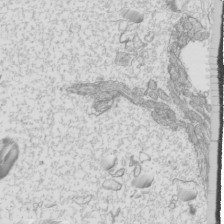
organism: Mouse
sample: Cilia; mouse epididymis